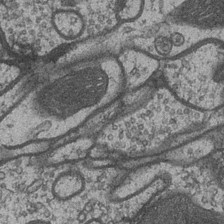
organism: Drosophila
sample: Optic medulla